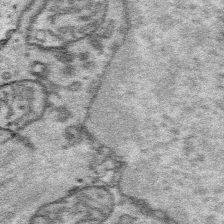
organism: Platynereis dumerilii